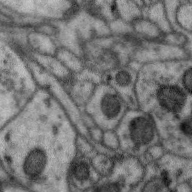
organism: Zebra finch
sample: Brain